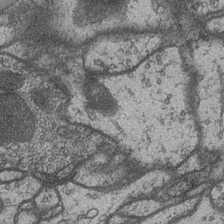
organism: Drosophila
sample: Optic medulla